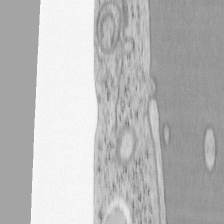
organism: Human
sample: HeLa cells